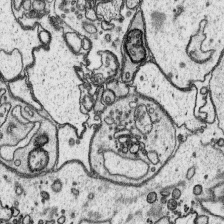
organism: Platynereis dumerilii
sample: Parapodia